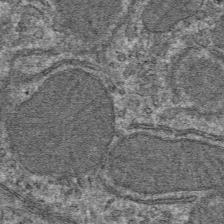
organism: Mouse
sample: Mouse hepatocytes